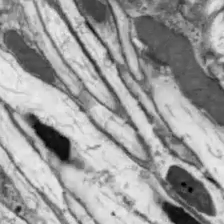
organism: Drosophila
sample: Optic lobe